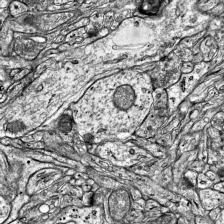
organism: Mouse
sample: Visual Cortex